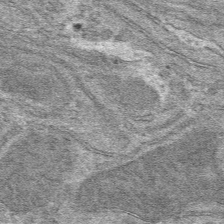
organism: Mouse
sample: Mouse hepatocytes